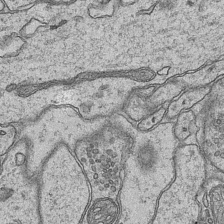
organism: Mouse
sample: CA1 Hippocampus